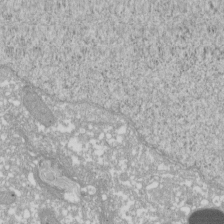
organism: Xenopus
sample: Cilia; centrioles in frog embryo cells